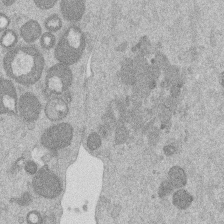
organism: Mouse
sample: Dividing mouse embryo 1 cell stage